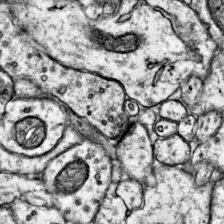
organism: Mouse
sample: Primary visual cortex